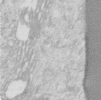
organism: Human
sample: Centriole in RPE cells